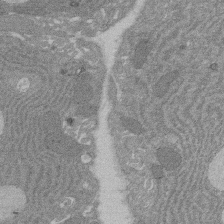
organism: Rat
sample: Salivary granule